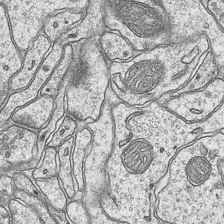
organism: Mouse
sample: CA1 Hippocampus